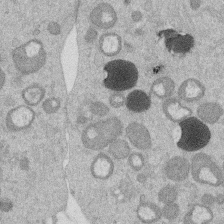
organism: Mouse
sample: Dividing mouse embryo 1 cell stage